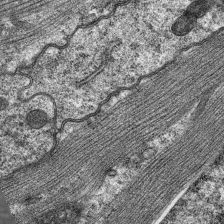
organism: C. elegans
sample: Pharynx